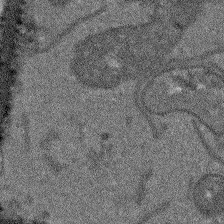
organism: Arabidopsis thaliana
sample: Root tip